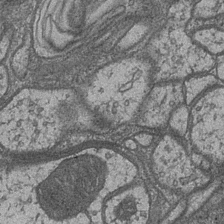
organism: Drosophila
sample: Optic medulla